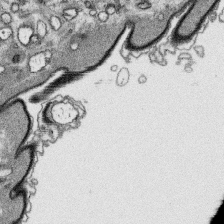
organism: Platynereis dumerilii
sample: Parapodia